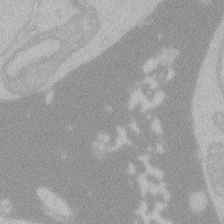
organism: Zebrafish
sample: Macrophage infected with Toxoplasma gondii